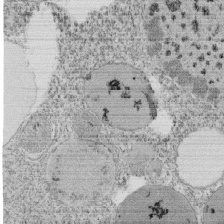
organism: Tetrahymena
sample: Cilia in tetrahymena